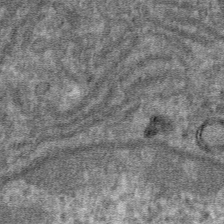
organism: Mouse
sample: Mouse hepatocytes